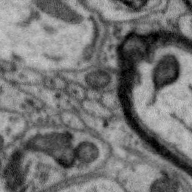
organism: Zebra finch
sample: Brain